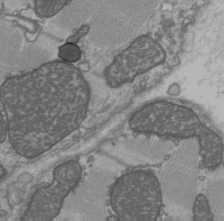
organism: C57BL Mouse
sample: Heart